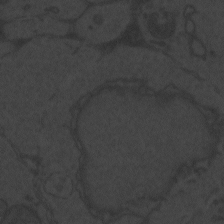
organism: Zebrafish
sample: Macrophage infected with Toxoplasma gondii